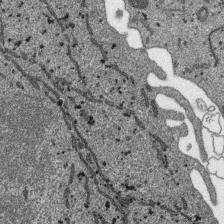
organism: Human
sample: Lung epithelial cells infected with SARS-CoV-2